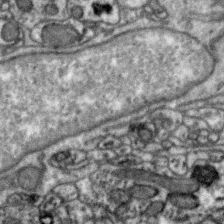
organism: Zebra finch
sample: Brain